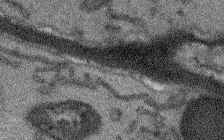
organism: Arabidopsis thaliana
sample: Root tip